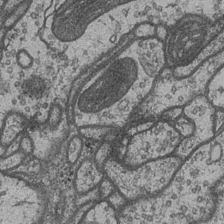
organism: Drosophila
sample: Optic medulla